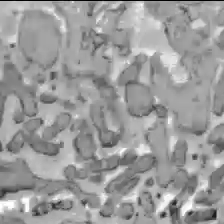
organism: C57BL Mouse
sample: Liver